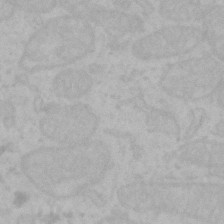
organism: Mouse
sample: Choroid plexus